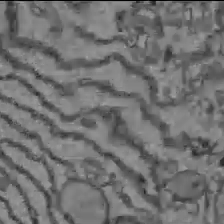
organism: C57BL Mouse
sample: Liver